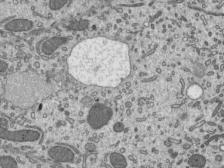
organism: Mouse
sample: Mouse epididymis efferent ductule cilia